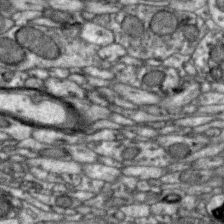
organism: Zebra finch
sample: Brain